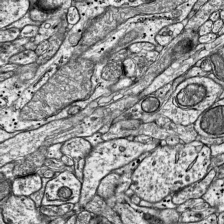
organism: Mouse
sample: Visual Cortex